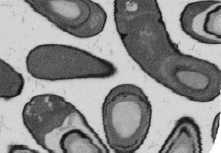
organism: B. subtilis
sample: Bacterial spore